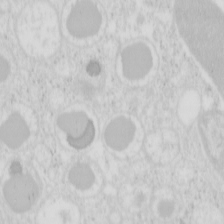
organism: Mouse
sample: Pancreas